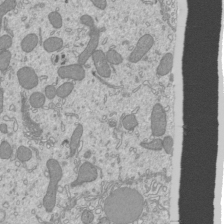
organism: Mouse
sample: Cilia; mouse epididymis